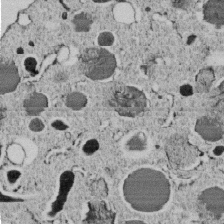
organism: C. elegans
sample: C. elegans embryo early stage